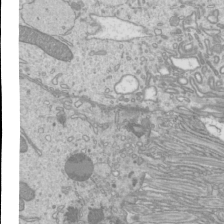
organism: Mouse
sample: Cilia; mouse epididymis